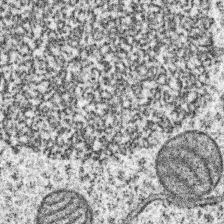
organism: Human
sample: HeLa cells